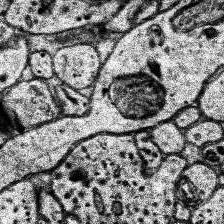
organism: Human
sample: Temporal Lobe